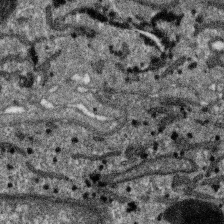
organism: Human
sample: Lung epithelial cells infected with SARS-CoV-2